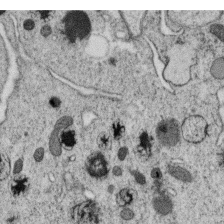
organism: C. elegans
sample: C. elegans oocyte; sperm cells